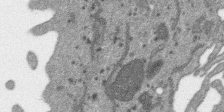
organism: Human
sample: Lung epithelial cells infected with SARS-CoV-2